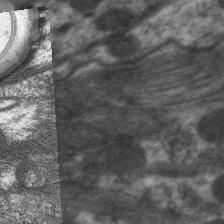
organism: C. elegans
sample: Pharynx